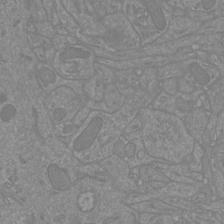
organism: Mouse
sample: Cortical neurons